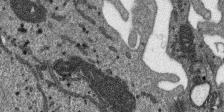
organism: Human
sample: Lung epithelial cells infected with SARS-CoV-2